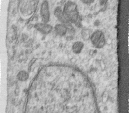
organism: Human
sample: Centriole in RPE cells